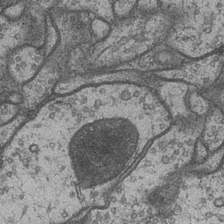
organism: Drosophila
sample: Optic medulla